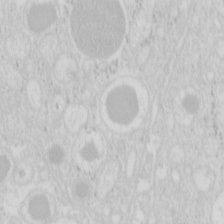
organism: Mouse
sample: Pancreas